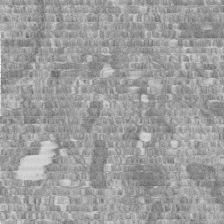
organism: Human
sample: Centriole in fibroblast cells